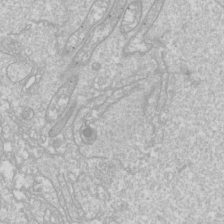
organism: Drosophila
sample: Cell division; meiosis; drosophila spermatocytes